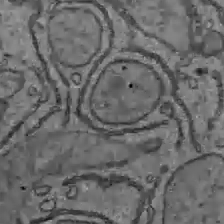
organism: C57BL Mouse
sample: Liver